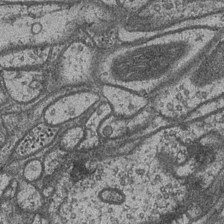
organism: Drosophila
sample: Optic medulla